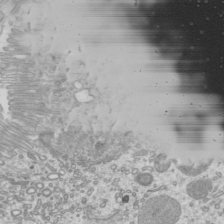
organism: Mouse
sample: Cilia; mouse epididymis